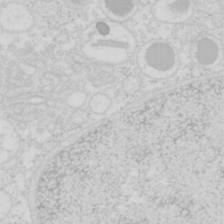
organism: Mouse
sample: Pancreas